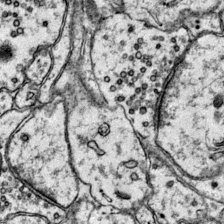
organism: Mouse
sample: Primary visual cortex